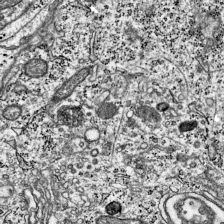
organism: Mouse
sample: Visual Cortex